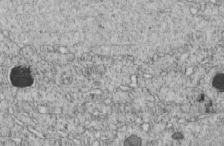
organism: C. elegans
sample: C. elegans embryo early stage